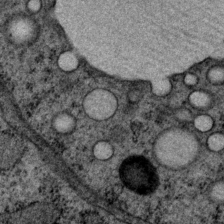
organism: P. pacificus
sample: Pharynx